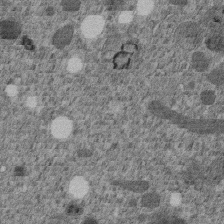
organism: C. elegans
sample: C. elegans embryo early stage